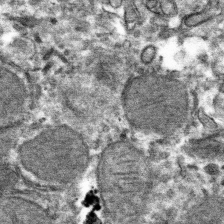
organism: Mouse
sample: Mouse hepatocytes